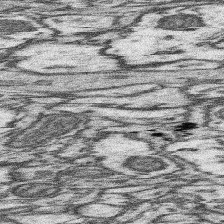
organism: Mouse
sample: Somatosensory cortex neuropil